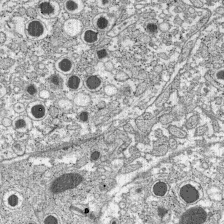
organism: C57BL Mouse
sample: Pancreatic islet